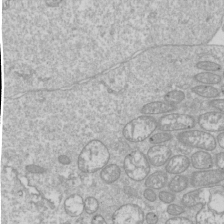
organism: Drosophila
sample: Cell division; meiosis; drosophila spermatocytes